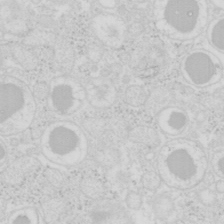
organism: Mouse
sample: Pancreas